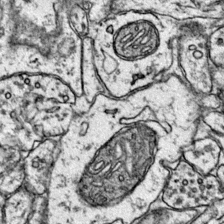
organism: Mouse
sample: Primary visual cortex